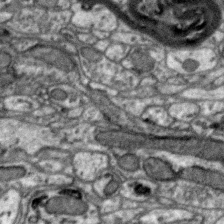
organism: Zebra finch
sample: Brain